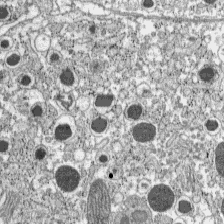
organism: C57BL Mouse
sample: Pancreatic islet